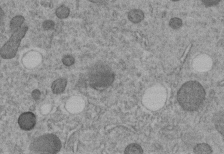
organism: C. elegans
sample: C. elegans embryo early stage